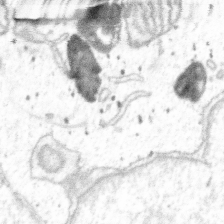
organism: Human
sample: HeLa cells